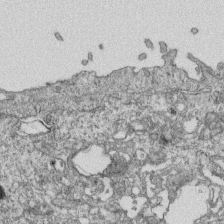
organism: Human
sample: HeLa cell HIV synapse